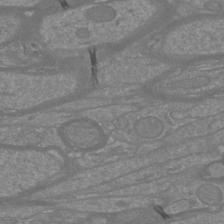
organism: Mouse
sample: Cortical neurons